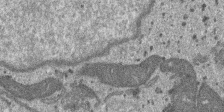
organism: Human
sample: Lung epithelial cells infected with SARS-CoV-2